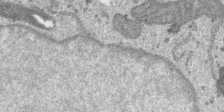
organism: Human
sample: Lung epithelial cells infected with SARS-CoV-2